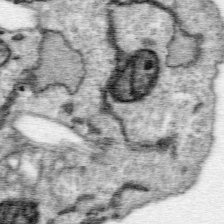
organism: Human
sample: HeLa cells